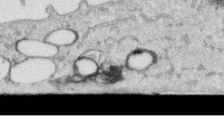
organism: Human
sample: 1205lu cells